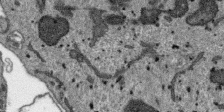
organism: Human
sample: Lung epithelial cells, uninfected (mock) control